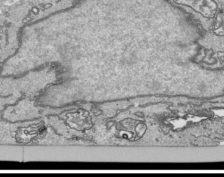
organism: Human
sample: Mitochondria in HCT116 cells